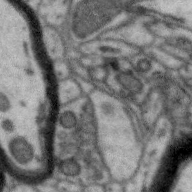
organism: Zebra finch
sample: Brain